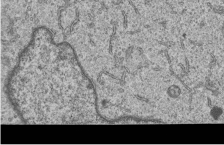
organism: Human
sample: MDA-MB-231 cells